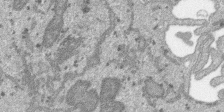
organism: Human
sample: Lung epithelial cells infected with SARS-CoV-2